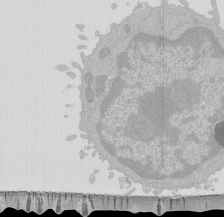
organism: Mouse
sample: Activated Pmel transgenic CD8+ T Cells